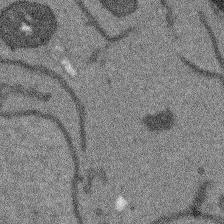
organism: Arabidopsis thaliana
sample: Root tip